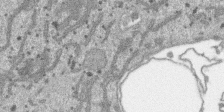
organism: Human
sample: Lung epithelial cells infected with SARS-CoV-2